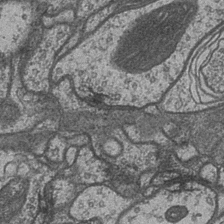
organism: Drosophila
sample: Optic medulla